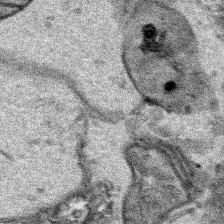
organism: Human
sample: Mitochondria in HCT116 cells